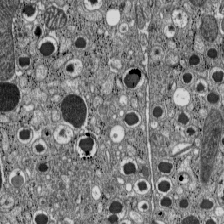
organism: C57BL Mouse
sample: Pancreatic islet